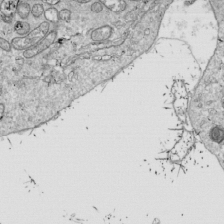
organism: Drosophila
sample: Cell division; meiosis; drosophila spermatocytes